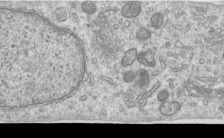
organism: Human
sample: Centriole in RPE cells